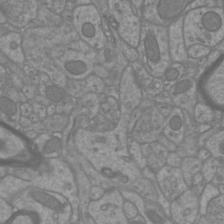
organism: Mouse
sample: Cortical neurons